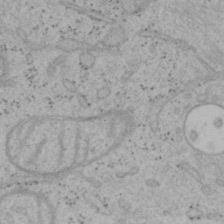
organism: Human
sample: HeLa cells